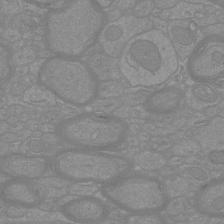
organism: Mouse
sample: Cortical neurons